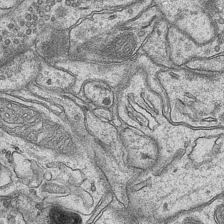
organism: Mouse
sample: CA1 Hippocampus